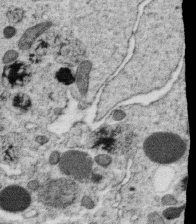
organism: C. elegans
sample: C. elegans oocyte; sperm cells